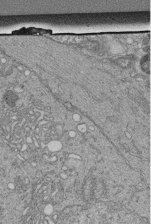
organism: Human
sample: Retinal organoid Rod and Cone cells